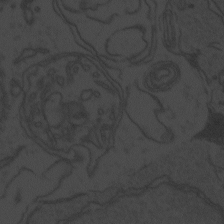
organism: Zebrafish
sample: Macrophage infected with Toxoplasma gondii